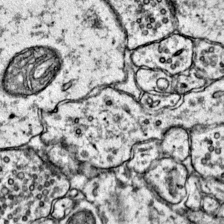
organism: Mouse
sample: Primary visual cortex